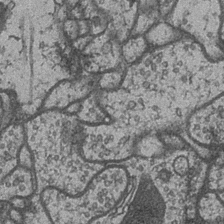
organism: Drosophila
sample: Optic medulla